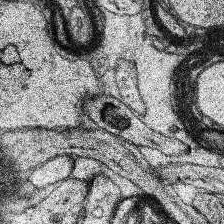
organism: Human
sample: Temporal Lobe